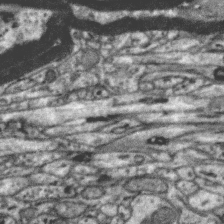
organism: Zebra finch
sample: Brain